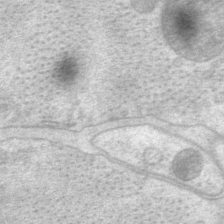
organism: P. pacificus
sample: Pharynx